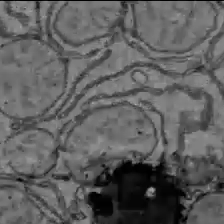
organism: C57BL Mouse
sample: Liver